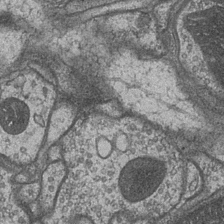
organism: Drosophila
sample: Optic medulla